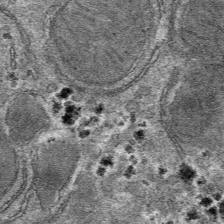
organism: Mouse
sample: Mouse hepatocytes